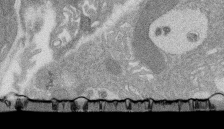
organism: Rat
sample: Salivary granule